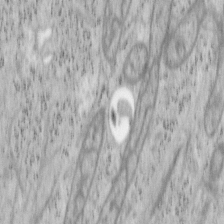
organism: Human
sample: HeLa cells